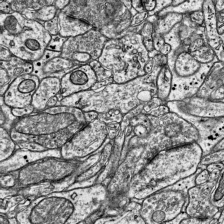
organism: Mouse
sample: Visual Cortex